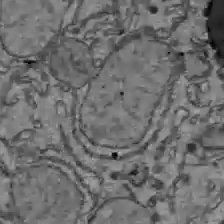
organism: C57BL Mouse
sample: Liver